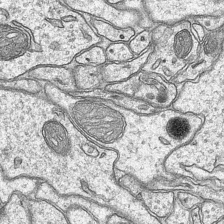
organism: Mouse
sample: CA1 Hippocampus